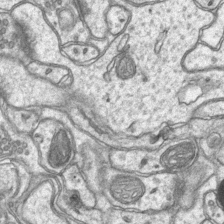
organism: Mouse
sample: CA1 Hippocampus